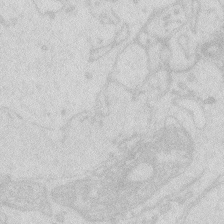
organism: Zebrafish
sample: Macrophage